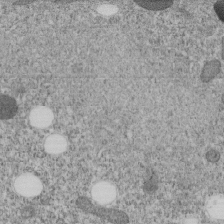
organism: C. elegans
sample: C. elegans embryo early stage